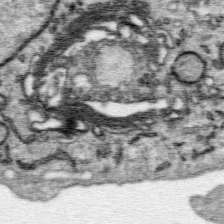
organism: Human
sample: HeLa cells